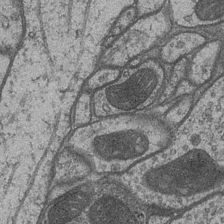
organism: Drosophila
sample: Optic medulla